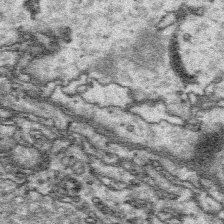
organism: Platynereis dumerilii